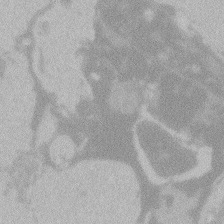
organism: Zebrafish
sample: Macrophage infected with Toxoplasma gondii